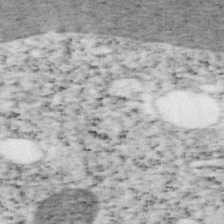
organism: Mouse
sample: OT-I killer T cells with ID8 ovarian cancer cells